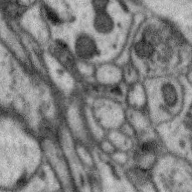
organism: Zebra finch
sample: Brain